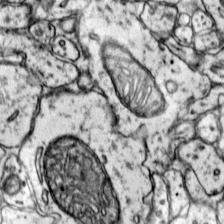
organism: Mouse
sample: Primary visual cortex